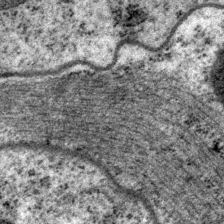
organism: P. pacificus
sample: Pharynx